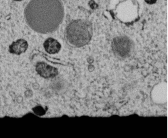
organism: C. elegans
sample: C. elegans embryo early stage